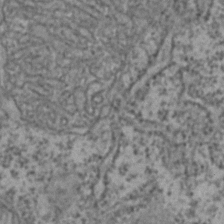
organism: Zebrafish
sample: Zebrafish embryo